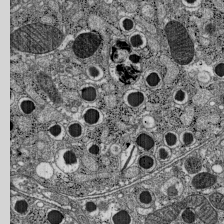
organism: C57BL Mouse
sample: Pancreatic islet